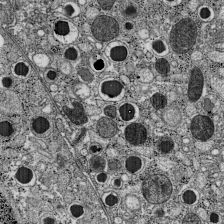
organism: C57BL Mouse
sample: Pancreatic islet